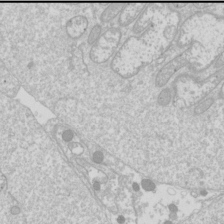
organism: Drosophila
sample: Cell division; meiosis; drosophila spermatocytes